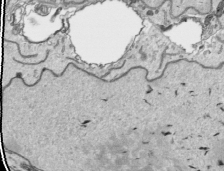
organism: Human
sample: Mitochondria in HCT116 cells